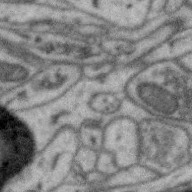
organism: Zebra finch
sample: Brain